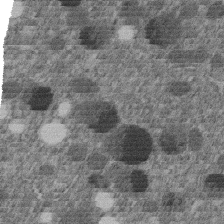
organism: C. elegans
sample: C. elegans embryo early stage